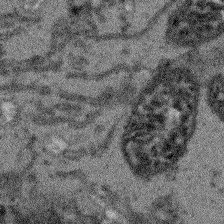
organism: Arabidopsis thaliana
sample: Root tip